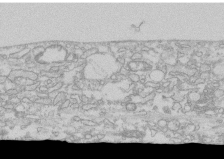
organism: Human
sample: CRL-1474